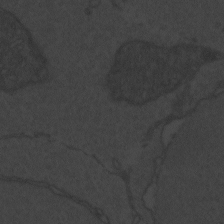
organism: Zebrafish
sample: Macrophage infected with Toxoplasma gondii